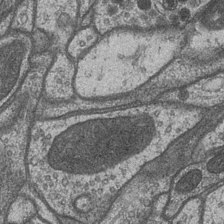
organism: Drosophila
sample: Optic medulla